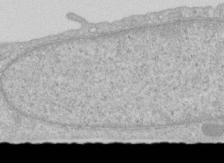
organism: Human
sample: Centriole in RPE cells